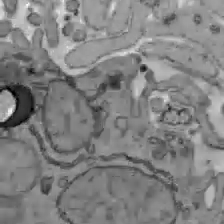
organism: C57BL Mouse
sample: Liver